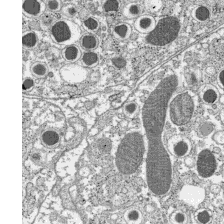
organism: C57BL Mouse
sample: Pancreatic islet